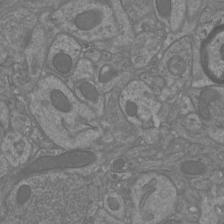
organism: Mouse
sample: Cortical neurons